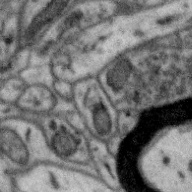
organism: Zebra finch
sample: Brain